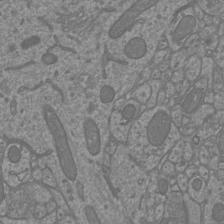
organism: Mouse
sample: Cortical neurons